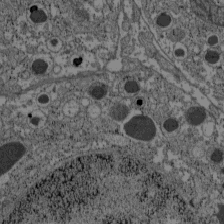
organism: C57BL Mouse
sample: Pancreatic islet